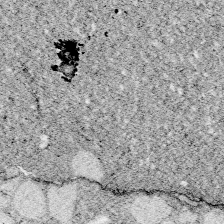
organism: Zebrafish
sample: Whole-Brain